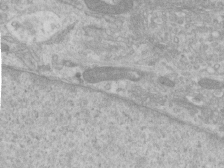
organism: Human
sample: Centriole in RPE cells